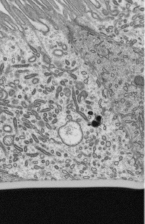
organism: Mouse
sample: Mouse epididymis efferent ductule cilia